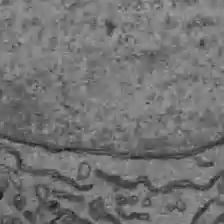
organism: C57BL Mouse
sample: Liver